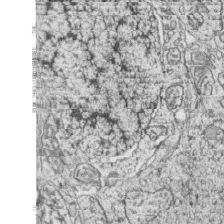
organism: Zebrafish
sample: synaptic ribbons in rod cells and cone cells